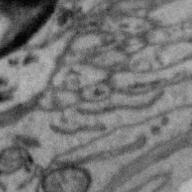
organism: Zebra finch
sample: Brain